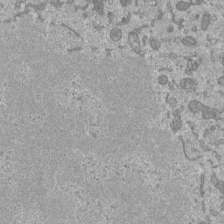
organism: Mouse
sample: ED-1 cell nuclei; centrioles